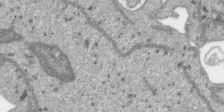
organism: Human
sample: Lung epithelial cells infected with SARS-CoV-2